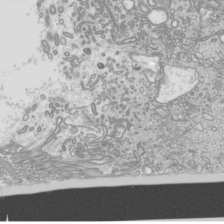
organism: Mouse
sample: Cilia; mouse epididymis